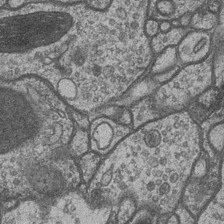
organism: Drosophila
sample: Optic medulla